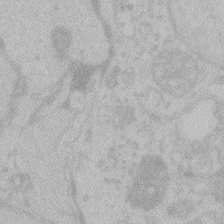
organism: Zebrafish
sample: Macrophage infected with Toxoplasma gondii